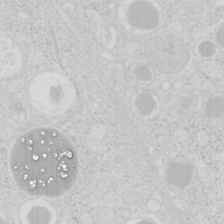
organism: Mouse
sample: Pancreas